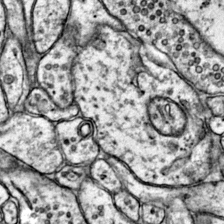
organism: Mouse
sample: Primary visual cortex